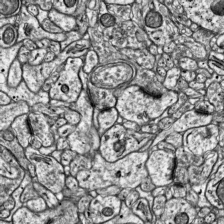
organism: Mouse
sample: Visual Cortex